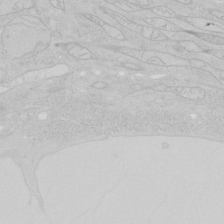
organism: Human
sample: Mitochondria in HCT116 cells